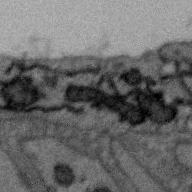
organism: Zebra finch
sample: Brain